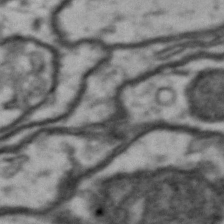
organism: Drosophila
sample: Brain